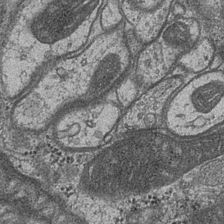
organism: Drosophila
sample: Optic medulla